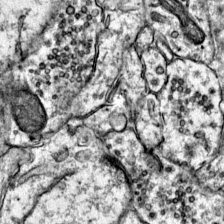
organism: Mouse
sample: Primary visual cortex